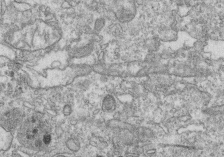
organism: Human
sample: HeLa cell HIV synapse